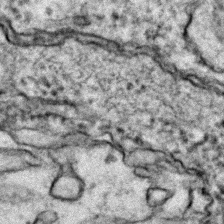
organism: Zebrafish